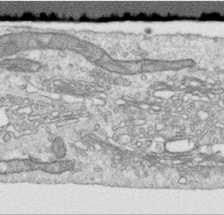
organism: Human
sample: Centriole in RPE cells